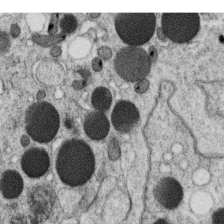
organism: C. elegans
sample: C. elegans oocyte; sperm cells